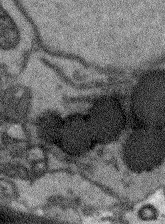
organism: Arabidopsis thaliana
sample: Root tip